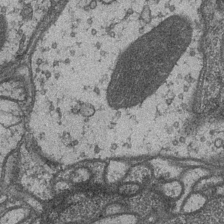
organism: Drosophila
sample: Optic medulla